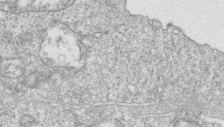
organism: Human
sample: HeLa cell HIV synapse